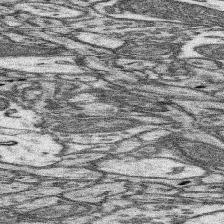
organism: Mouse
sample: Somatosensory cortex neuropil